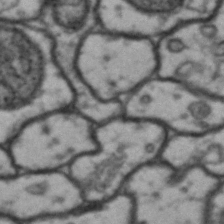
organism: Drosophila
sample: Brain